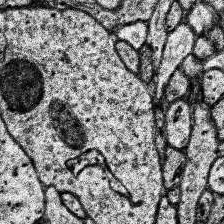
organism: Human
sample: Temporal Lobe